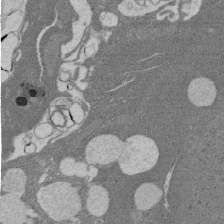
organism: Rat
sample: Salivary granule